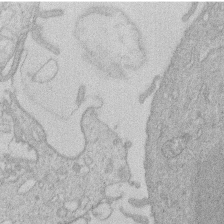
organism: Human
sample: Macrophage cells